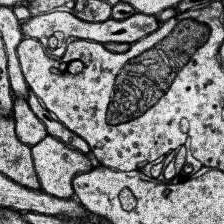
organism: Human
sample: Temporal Lobe